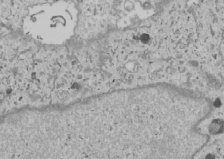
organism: Human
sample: Mitochondria in U2OS cells